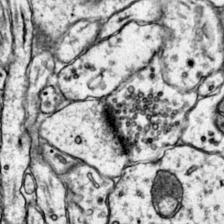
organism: Mouse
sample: Primary visual cortex